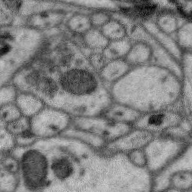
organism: Zebra finch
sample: Brain